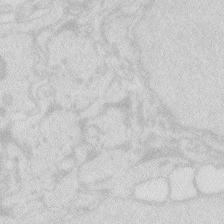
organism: Zebrafish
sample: Macrophage